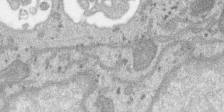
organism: Human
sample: Lung epithelial cells infected with SARS-CoV-2